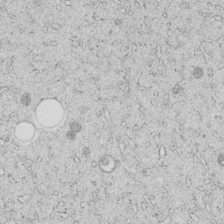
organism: C. elegans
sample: C. elegans embryo early stage